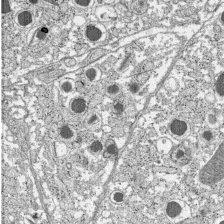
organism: C57BL Mouse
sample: Pancreatic islet